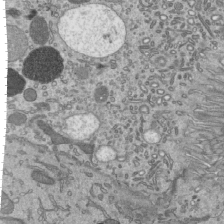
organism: Mouse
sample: Mouse epididymis efferent ductule cilia